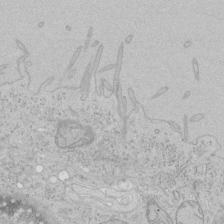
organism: Human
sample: Mitochondria in HCT116 cells